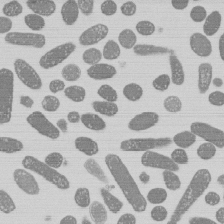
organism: E. coli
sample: Bacterial nucleoid